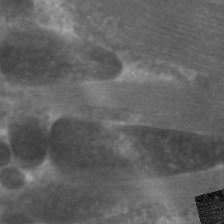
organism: C. elegans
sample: Pharynx